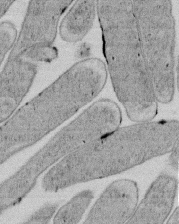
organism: E. coli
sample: Bacterial nucleoid